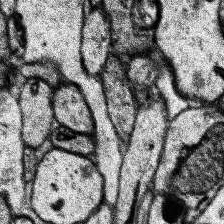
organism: Human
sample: Temporal Lobe